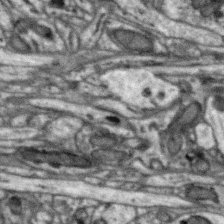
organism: Zebra finch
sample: Brain